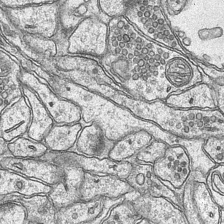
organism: Mouse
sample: CA1 Hippocampus